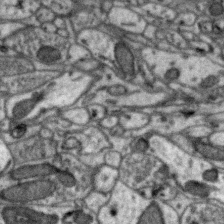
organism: Zebra finch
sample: Brain